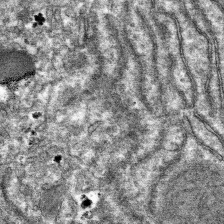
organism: Mouse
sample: Mouse hepatocytes